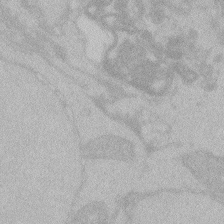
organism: Zebrafish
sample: Macrophage infected with Toxoplasma gondii